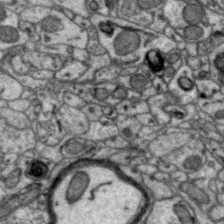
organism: Zebra finch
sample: Brain